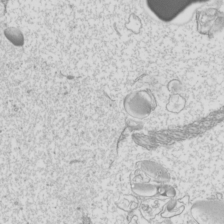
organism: Mouse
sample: Cilia; mouse epididymis